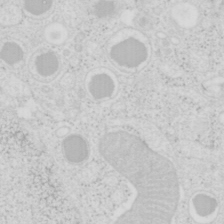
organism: Mouse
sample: Pancreas